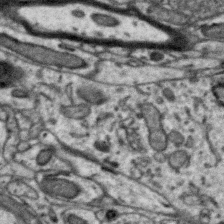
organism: Zebra finch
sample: Brain